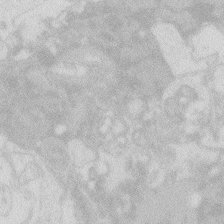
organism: Zebrafish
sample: Macrophage